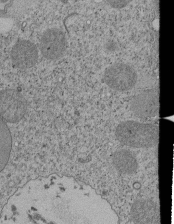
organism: Tetrahymena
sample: Cilia in tetrahymena